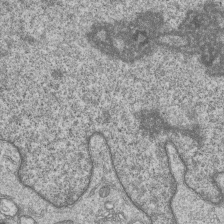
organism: Human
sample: MDA-MB-231 cells